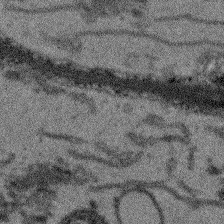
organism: Arabidopsis thaliana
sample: Root tip